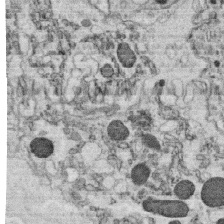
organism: C. elegans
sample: C. elegans oocyte; sperm cells